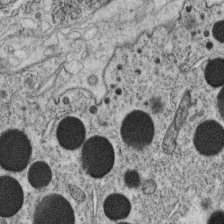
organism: C. elegans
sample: C. elegans oocyte; sperm cells